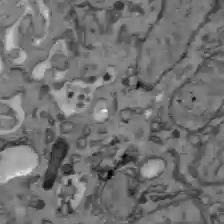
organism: C57BL Mouse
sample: Liver